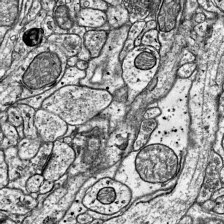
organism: Mouse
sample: Visual Cortex